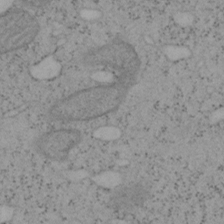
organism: Mouse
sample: OT-I killer T cells with ID8 ovarian cancer cells